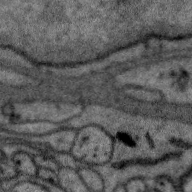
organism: Zebra finch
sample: Brain